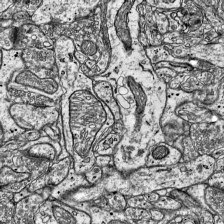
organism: Mouse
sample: Visual Cortex